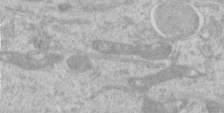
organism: Human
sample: Centriole in RPE cells